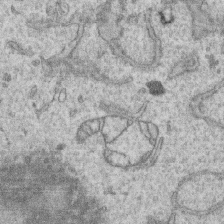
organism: Human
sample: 1205lu cells